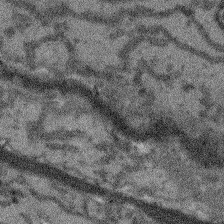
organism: Arabidopsis thaliana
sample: Root tip